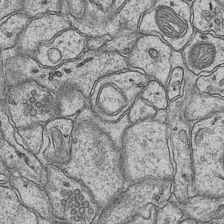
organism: Mouse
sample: CA1 Hippocampus